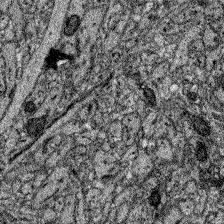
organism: Zebrafish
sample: Larval olfactory bulb